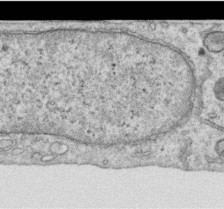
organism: Human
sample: Centriole in RPE cells